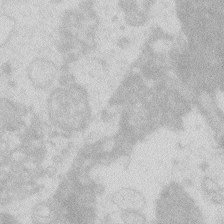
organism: Zebrafish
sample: Macrophage